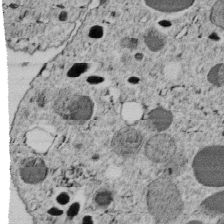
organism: C. elegans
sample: C. elegans embryo early stage